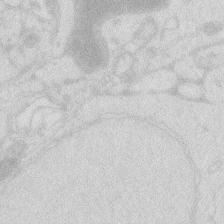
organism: Zebrafish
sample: Macrophage